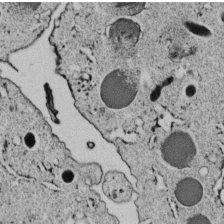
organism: C. elegans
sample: C. elegans embryo early stage